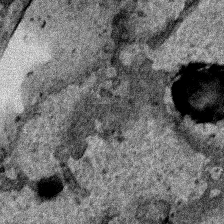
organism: Human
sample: Mitochondria in HCT116 cells